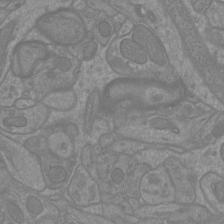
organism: Mouse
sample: Cortical neurons